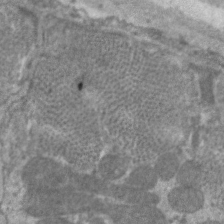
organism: C. elegans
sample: Pharynx